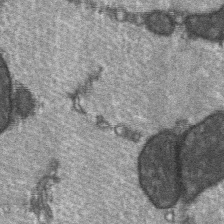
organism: C57BL Mouse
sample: Soleus